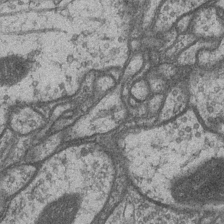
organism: Drosophila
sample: Optic medulla